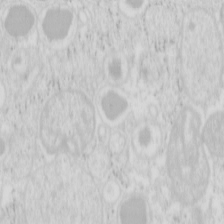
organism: Mouse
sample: Pancreas